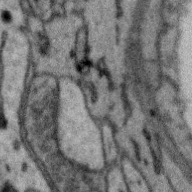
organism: Zebra finch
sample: Brain